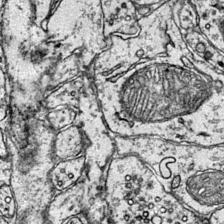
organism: Mouse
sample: Primary visual cortex